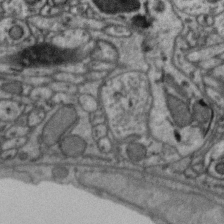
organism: Zebra finch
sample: Brain